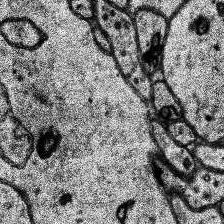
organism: Human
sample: Temporal Lobe